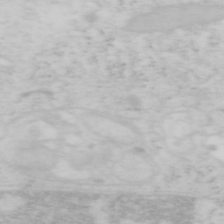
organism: Mouse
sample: OT-I killer T cells with ID8 ovarian cancer cells